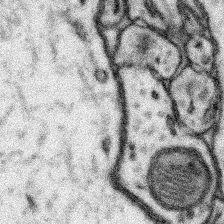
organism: Mouse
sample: Somatosensory cortex neuropil